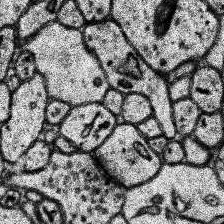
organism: Human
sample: Temporal Lobe